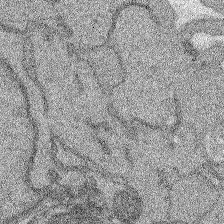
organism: Human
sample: HeLa cells